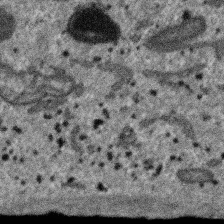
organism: Human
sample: Lung epithelial cells infected with SARS-CoV-2